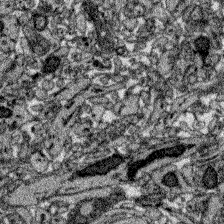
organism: Zebrafish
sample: Larval olfactory bulb